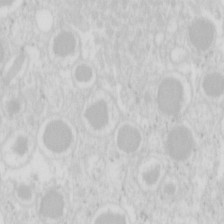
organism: Mouse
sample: Pancreas